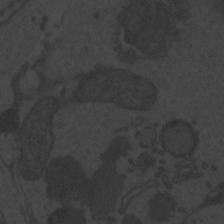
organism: Zebrafish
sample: Macrophage infected with Toxoplasma gondii